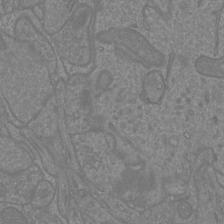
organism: Mouse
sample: Cortical neurons